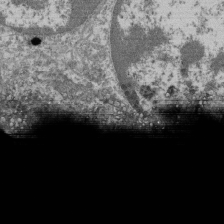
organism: Mouse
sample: Glomerulus